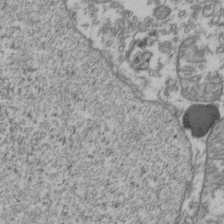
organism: Human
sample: Activated Jurkat CD4+ T cells